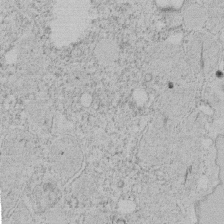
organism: Tetrahymena